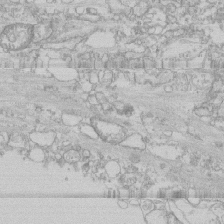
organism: Human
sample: CRL-1474